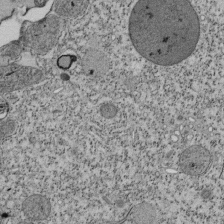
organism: Tetrahymena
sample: Cilia in tetrahymena